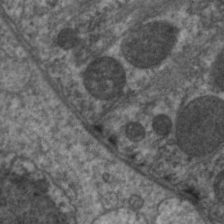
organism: C. elegans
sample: Pharynx